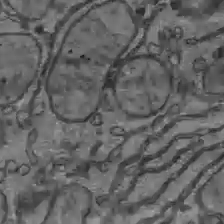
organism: C57BL Mouse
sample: Liver